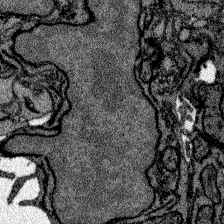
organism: Zebrafish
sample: Larval olfactory bulb